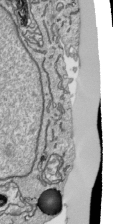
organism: Human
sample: Mitochondria in HCT116 cells